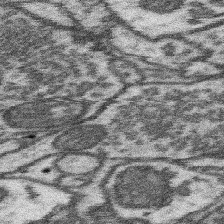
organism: Mouse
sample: Somatosensory cortex neuropil